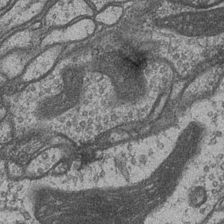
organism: Drosophila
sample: Optic medulla